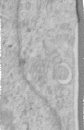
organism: Human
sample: Centriole in RPE cells